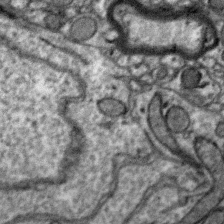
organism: Zebra finch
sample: Brain